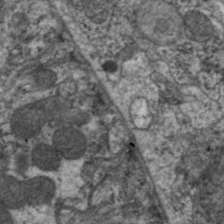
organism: C. elegans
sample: Pharynx